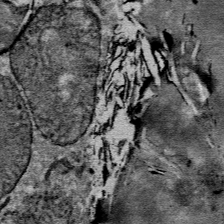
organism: Mouse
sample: Mouse Salivary gland